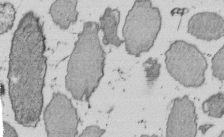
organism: E. coli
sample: Bacterial nucleoid